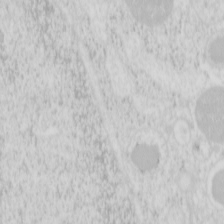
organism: Mouse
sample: Pancreas